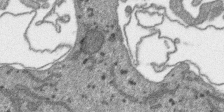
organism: Human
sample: Lung epithelial cells infected with SARS-CoV-2